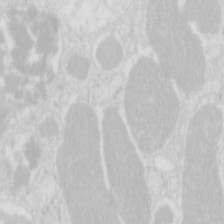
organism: Mouse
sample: Pancreas